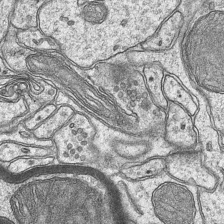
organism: Mouse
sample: CA1 Hippocampus